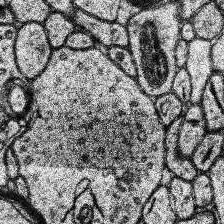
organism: Human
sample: Temporal Lobe